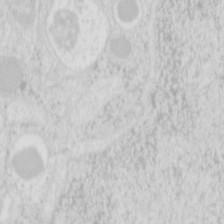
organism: Mouse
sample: Pancreas